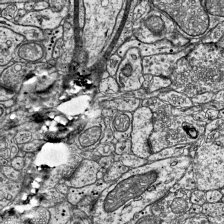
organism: Mouse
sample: Visual Cortex